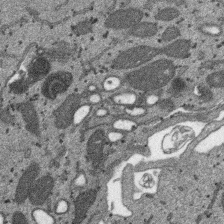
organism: Human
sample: Lung epithelial cells infected with SARS-CoV-2